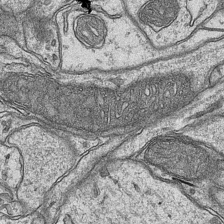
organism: Mouse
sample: CA1 Hippocampus